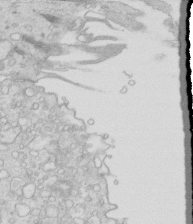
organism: Mouse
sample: Multiciliated cells